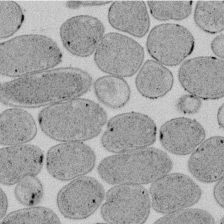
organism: E. coli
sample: Bacterial nucleoid